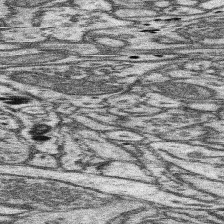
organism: Mouse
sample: Somatosensory cortex neuropil